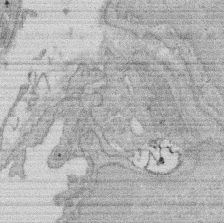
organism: Rat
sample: Salivary granule